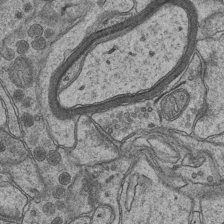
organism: Mouse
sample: CA1 Hippocampus